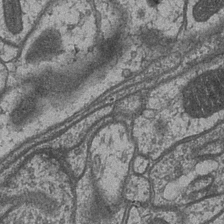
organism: Drosophila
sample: Optic medulla